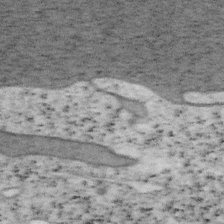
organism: Mouse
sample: OT-I killer T cells with ID8 ovarian cancer cells